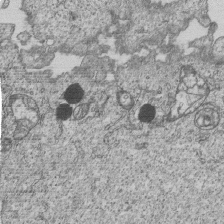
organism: Human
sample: MDA-MB-231 cells